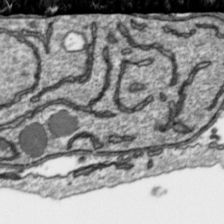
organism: Toxoplasma gondii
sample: Parasites in a vacuole inside a host cell